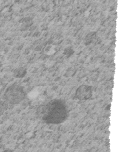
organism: C. elegans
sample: C. elegans embryo early stage